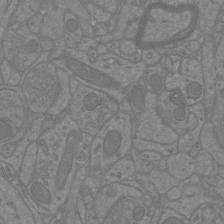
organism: Mouse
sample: Cortical neurons